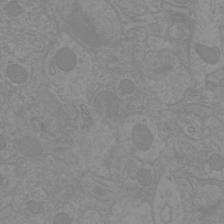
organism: Mouse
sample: Cortical neurons